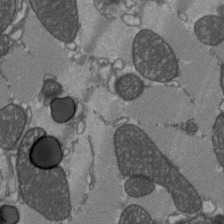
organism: C57BL Mouse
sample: Heart